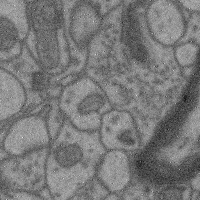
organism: Mouse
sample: Cerebral cortex